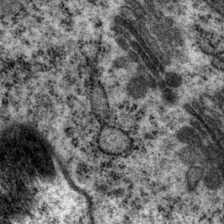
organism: P. pacificus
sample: Pharynx